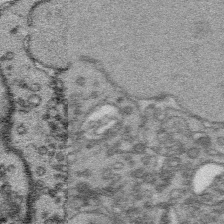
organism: Platynereis dumerilii